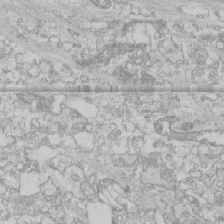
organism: Human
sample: CRL-1474